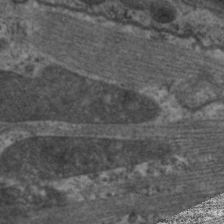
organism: C. elegans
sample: Pharynx